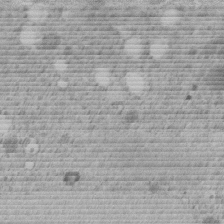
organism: C. elegans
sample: C. elegans embryo early stage